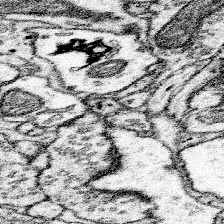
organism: Mouse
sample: Somatosensory cortex neuropil